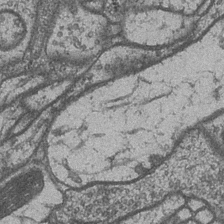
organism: Drosophila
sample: Optic medulla